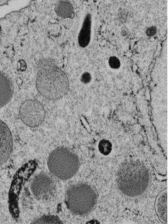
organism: C. elegans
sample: C. elegans embryo early stage